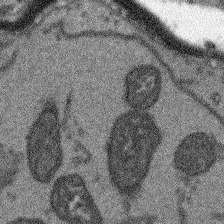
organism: Arabidopsis thaliana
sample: Root tip